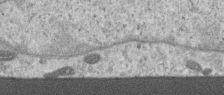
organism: Human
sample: Centriole in RPE cells